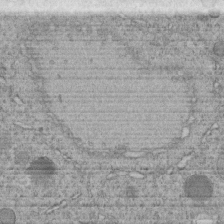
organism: C. elegans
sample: C. elegans embryo early stage